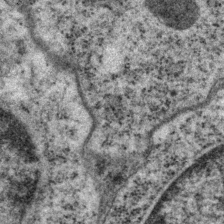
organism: P. pacificus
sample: Pharynx